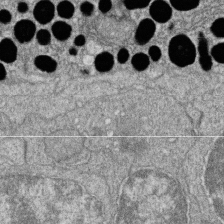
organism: Zebrafish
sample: Cilia; retinal pigment epithelium